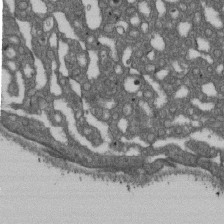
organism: Drosophila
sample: Nephrocyte